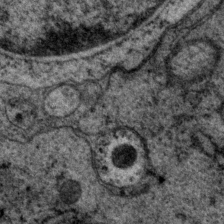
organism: P. pacificus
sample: Pharynx